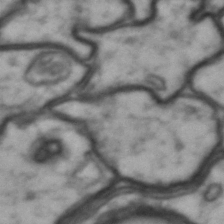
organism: Drosophila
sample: Brain